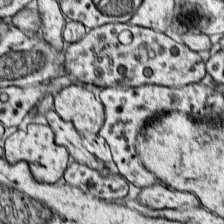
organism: Mouse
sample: Primary visual cortex